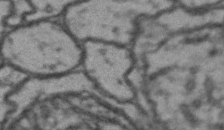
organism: Drosophila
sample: Brain